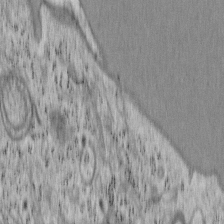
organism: Human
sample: HeLa cells